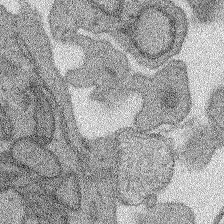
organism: Human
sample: HeLa cells